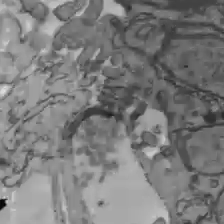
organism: C57BL Mouse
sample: Liver